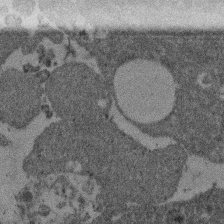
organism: Mouse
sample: Dividing mouse embryo 1 cell stage